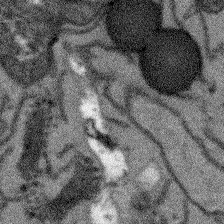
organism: Arabidopsis thaliana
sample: Root tip